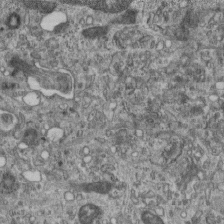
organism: Mouse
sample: Centriole in ependymal cells